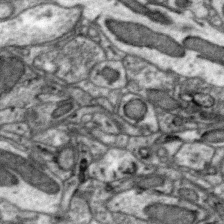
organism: Zebra finch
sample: Brain